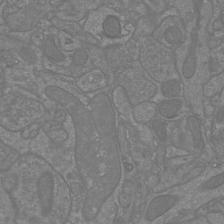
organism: Mouse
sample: Cortical neurons